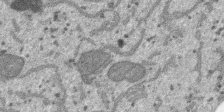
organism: Human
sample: Lung epithelial cells infected with SARS-CoV-2